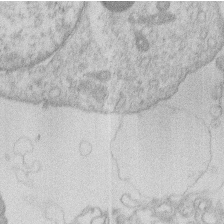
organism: Human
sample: Macrophage cells